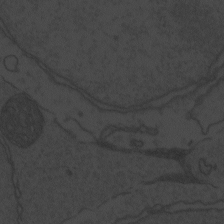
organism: Zebrafish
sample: Macrophage infected with Toxoplasma gondii